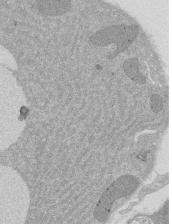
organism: Rat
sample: Salivary granule